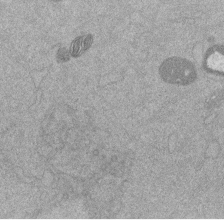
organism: Mouse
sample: Dividing mouse embryo 1 cell stage